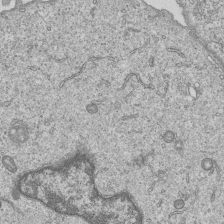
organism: Human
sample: MDA-MB-231 cells